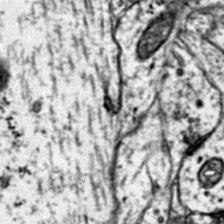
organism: Mouse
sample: Primary visual cortex